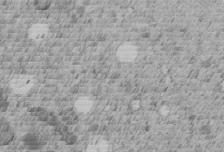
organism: C. elegans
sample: C. elegans embryo early stage